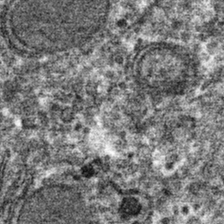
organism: Mouse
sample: Mouse hepatocytes